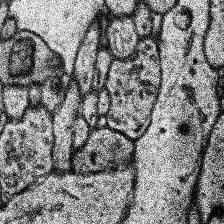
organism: Human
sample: Temporal Lobe